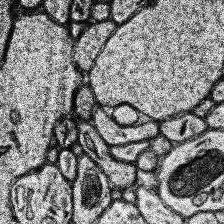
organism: Human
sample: Temporal Lobe